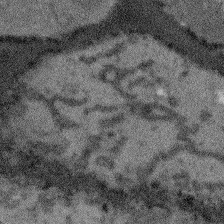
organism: Arabidopsis thaliana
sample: Root tip